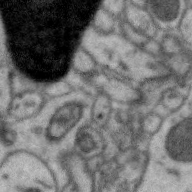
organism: Zebra finch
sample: Brain